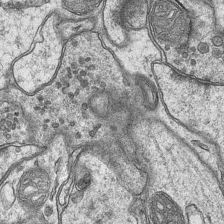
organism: Mouse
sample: CA1 Hippocampus